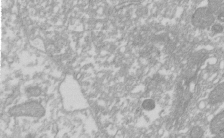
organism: Xenopus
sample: Cilia; centrioles in frog embryo cells